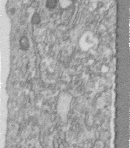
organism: Human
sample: Centriole in fibroblast cells